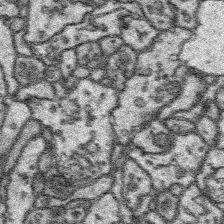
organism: Platynereis dumerilii